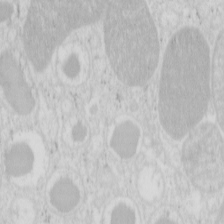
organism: Mouse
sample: Pancreas